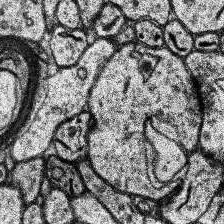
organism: Human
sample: Temporal Lobe